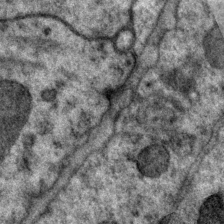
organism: P. pacificus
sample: Pharynx